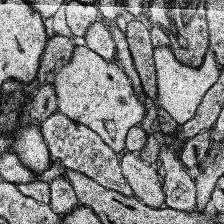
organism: Human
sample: Temporal Lobe